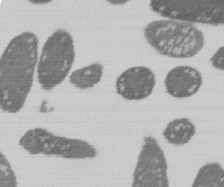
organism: E. coli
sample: Bacterial nucleoid